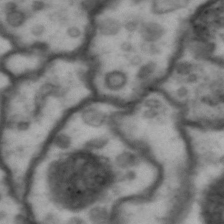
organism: Drosophila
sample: Brain